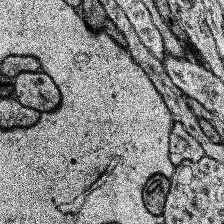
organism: Human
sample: Temporal Lobe